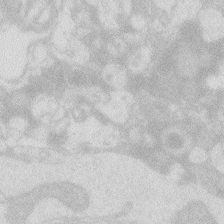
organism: Zebrafish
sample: Macrophage